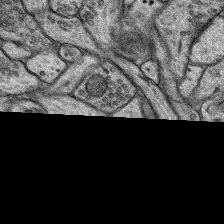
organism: Rat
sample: Hippocampus